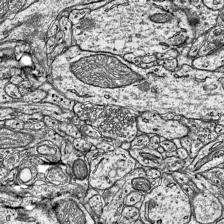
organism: Mouse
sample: Visual Cortex